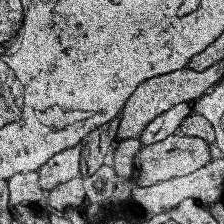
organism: Human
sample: Temporal Lobe